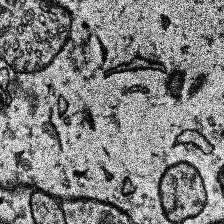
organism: Human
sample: Temporal Lobe